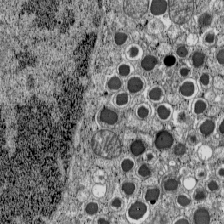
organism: C57BL Mouse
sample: Pancreatic islet